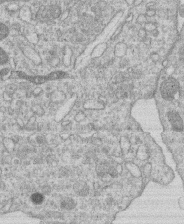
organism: Human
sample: Macrophage cells